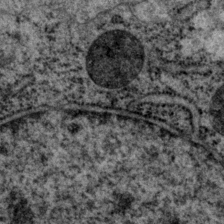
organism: P. pacificus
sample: Pharynx